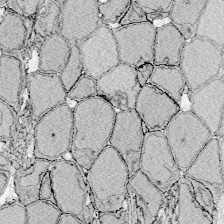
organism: Zebrafish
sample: Whole-Brain